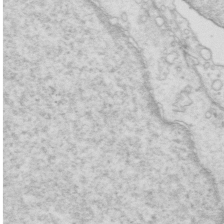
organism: Mouse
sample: Multiciliated cells